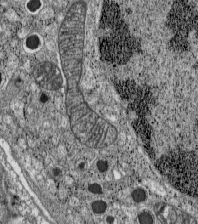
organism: C57BL Mouse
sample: Pancreatic islet